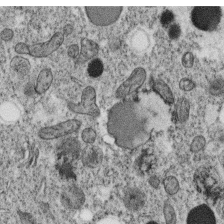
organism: C. elegans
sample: C. elegans oocyte; sperm cells